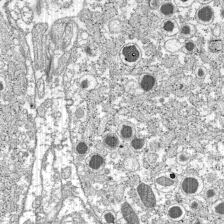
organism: C57BL Mouse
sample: Pancreatic islet